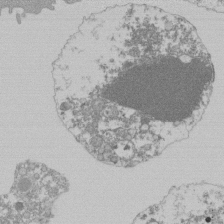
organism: Mouse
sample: Activated Pmel transgenic CD8+ T Cells